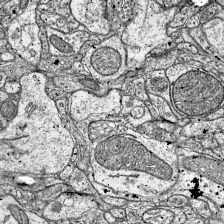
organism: Mouse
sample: Visual Cortex